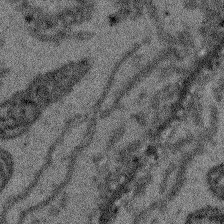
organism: Arabidopsis thaliana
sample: Root tip